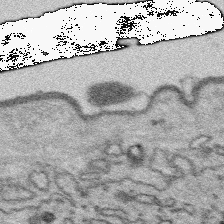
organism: Platynereis dumerilii